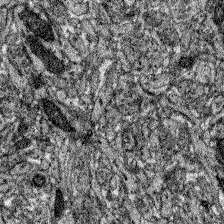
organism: Zebrafish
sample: Larval olfactory bulb